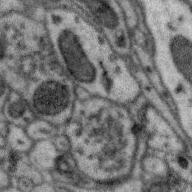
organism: Zebra finch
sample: Brain